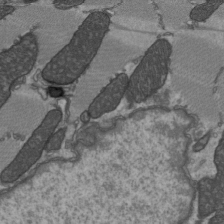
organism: C57BL Mouse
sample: Heart